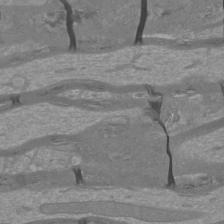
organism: Mouse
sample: Cortical neurons